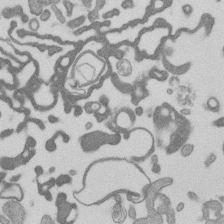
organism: Mouse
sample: Dividing mouse embryo 1 cell stage